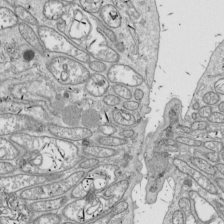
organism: Drosophila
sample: Cell division; meiosis; drosophila spermatocytes